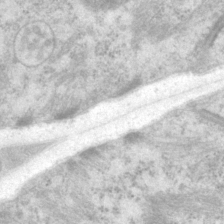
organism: P. pacificus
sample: Pharynx